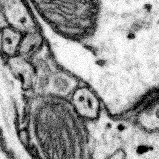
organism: Mouse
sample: Somatosensory cortex neuropil